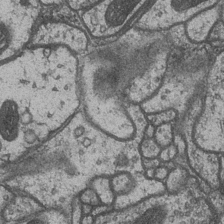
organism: Drosophila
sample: Optic medulla